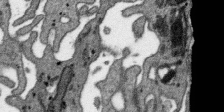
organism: Human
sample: Lung epithelial cells, uninfected (mock) control